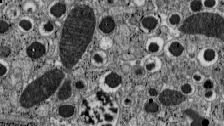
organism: C57BL Mouse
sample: Pancreatic islet